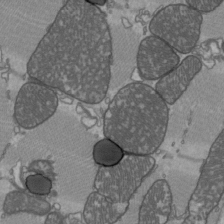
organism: C57BL Mouse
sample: Heart